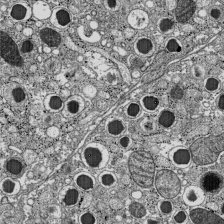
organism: C57BL Mouse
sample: Pancreatic islet